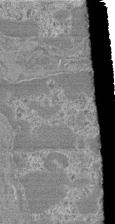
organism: Mouse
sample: Glomerulus